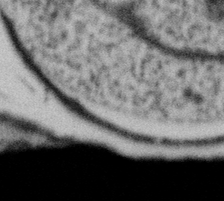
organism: Gemmata obscuriglobus